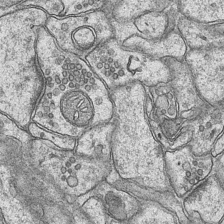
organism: Mouse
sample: CA1 Hippocampus